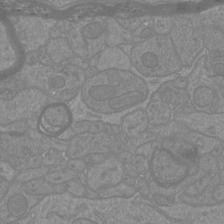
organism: Mouse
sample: Cortical neurons